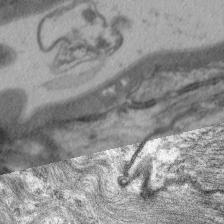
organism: C. elegans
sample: Pharynx